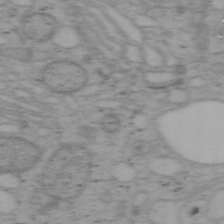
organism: Mouse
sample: OT-I killer T cells with ID8 ovarian cancer cells